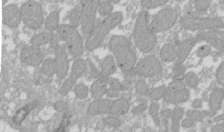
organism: Xenopus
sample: Cilia; centrioles in frog embryo cells